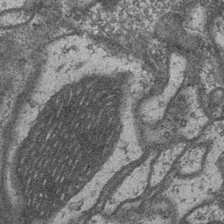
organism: Drosophila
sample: Optic medulla